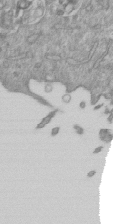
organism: Mouse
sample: ED-1 cell nuclei; centrioles